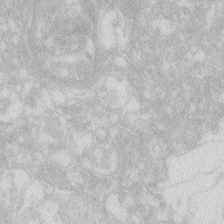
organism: Zebrafish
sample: Macrophage